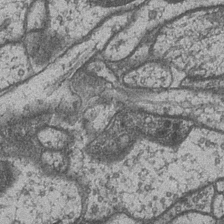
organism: Drosophila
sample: Optic medulla